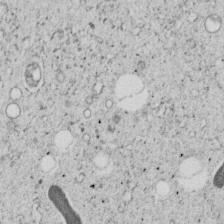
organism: C. elegans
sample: C. elegans embryo early stage